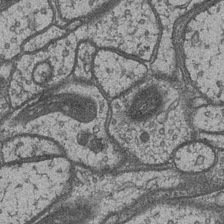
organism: Drosophila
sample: Optic medulla